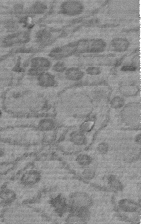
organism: C. elegans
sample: C. elegans embryo early stage